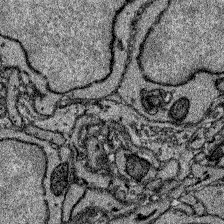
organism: Zebrafish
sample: Larval olfactory bulb